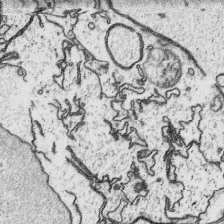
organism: Platynereis dumerilii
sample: Parapodia